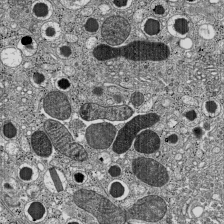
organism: C57BL Mouse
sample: Pancreatic islet